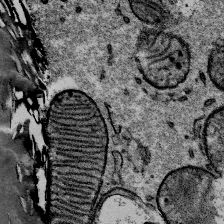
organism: Mouse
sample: Mouse Salivary gland